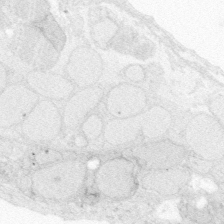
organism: Zebrafish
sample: Whole-Brain